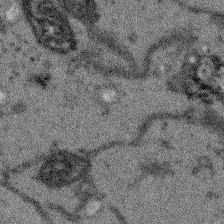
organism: Arabidopsis thaliana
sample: Root tip